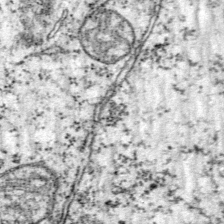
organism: Mouse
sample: Primary visual cortex